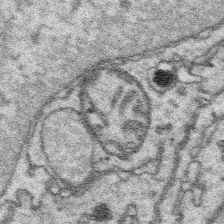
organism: Platynereis dumerilii